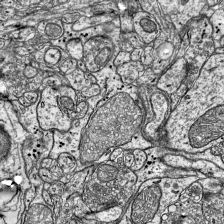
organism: Mouse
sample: Visual Cortex